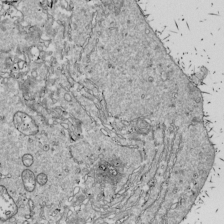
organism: Drosophila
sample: Cell division; meiosis; drosophila spermatocytes